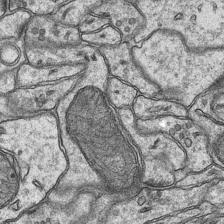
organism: Mouse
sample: CA1 Hippocampus